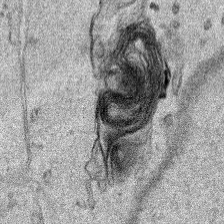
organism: Human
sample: Mitochondria in HCT116 cells